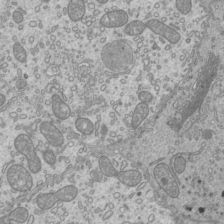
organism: Mouse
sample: Cilia; mouse epididymis